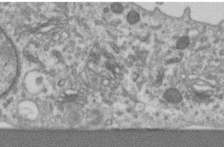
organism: Human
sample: Centriole in RPE cells